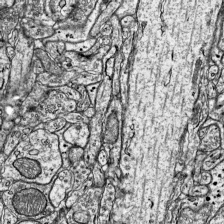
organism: Mouse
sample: Visual Cortex